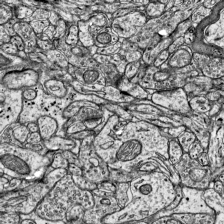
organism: Mouse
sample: Visual Cortex